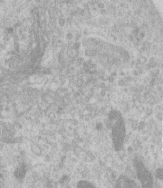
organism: Human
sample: Centriole in RPE cells